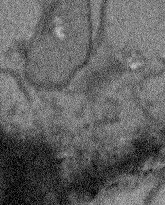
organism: Arabidopsis thaliana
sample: Root tip